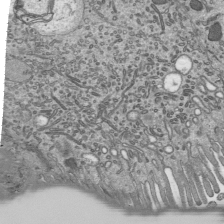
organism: Mouse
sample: Mouse epididymis efferent ductule cilia